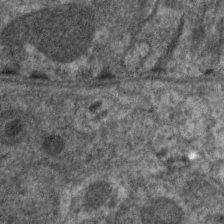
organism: C. elegans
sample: Pharynx